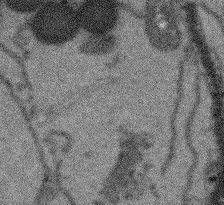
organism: Arabidopsis thaliana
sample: Root tip